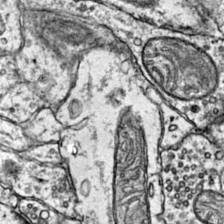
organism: Mouse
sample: Primary visual cortex